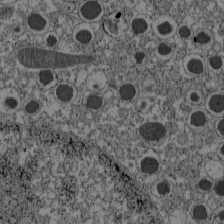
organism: C57BL Mouse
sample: Pancreatic islet